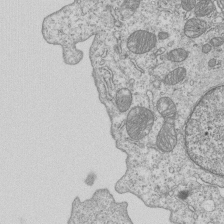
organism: Human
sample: MDA-MB-231 cells